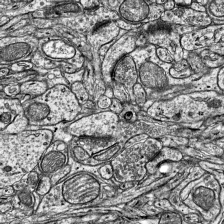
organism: Mouse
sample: Visual Cortex